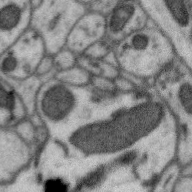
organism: Zebra finch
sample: Brain